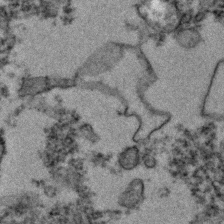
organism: Zebrafish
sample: Zebrafish embryo